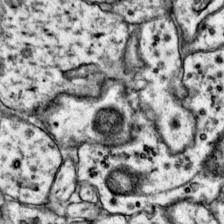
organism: Mouse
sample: Primary visual cortex